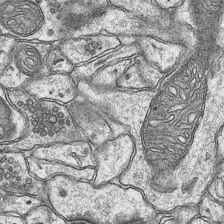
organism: Mouse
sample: CA1 Hippocampus